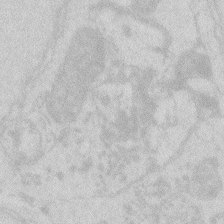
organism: Zebrafish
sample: Macrophage